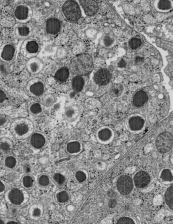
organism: C57BL Mouse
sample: Pancreatic islet